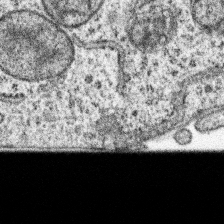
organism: Human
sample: HeLa cells